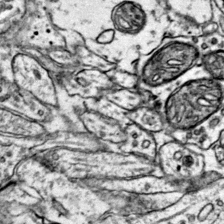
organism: Mouse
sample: Primary visual cortex